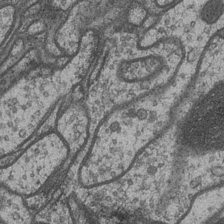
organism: Drosophila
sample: Optic medulla